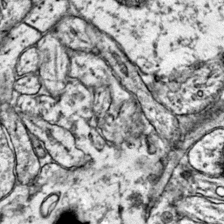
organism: Mouse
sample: Primary visual cortex